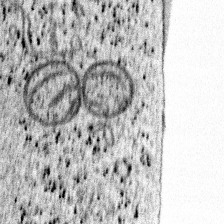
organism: Human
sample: HeLa cells